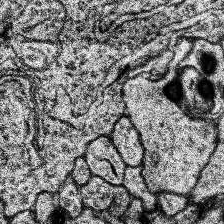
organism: Human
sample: Temporal Lobe